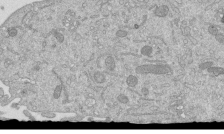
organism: Mouse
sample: ED-1 cell nuclei; centrioles